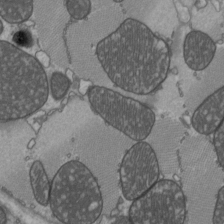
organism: C57BL Mouse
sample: Heart